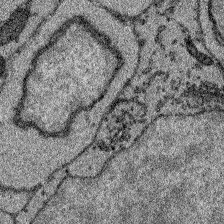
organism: Zebrafish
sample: Larval olfactory bulb